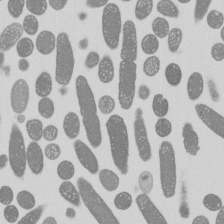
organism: E. coli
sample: Bacterial nucleoid